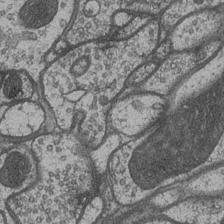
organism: Drosophila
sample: Optic medulla